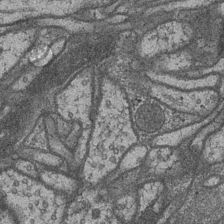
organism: Drosophila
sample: Optic medulla